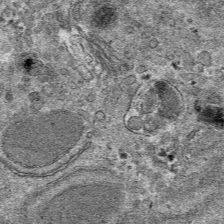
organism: Mouse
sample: Mouse hepatocytes